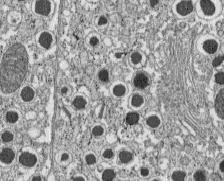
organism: C57BL Mouse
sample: Pancreatic islet